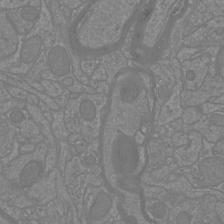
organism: Mouse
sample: Cortical neurons